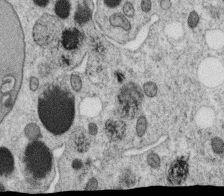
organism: C. elegans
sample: C. elegans oocyte; sperm cells